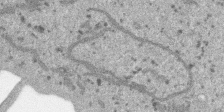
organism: Human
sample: Lung epithelial cells infected with SARS-CoV-2